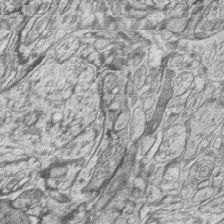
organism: Zebrafish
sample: synaptic ribbons in rod cells and cone cells